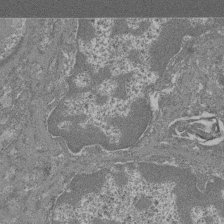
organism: Mouse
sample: Glomerulus